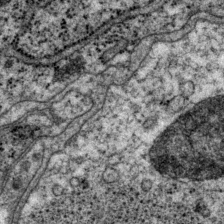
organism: P. pacificus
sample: Pharynx